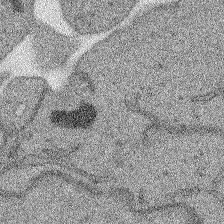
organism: Human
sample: HeLa cells